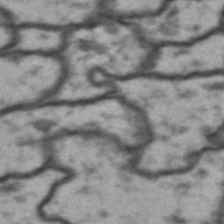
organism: Drosophila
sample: Brain